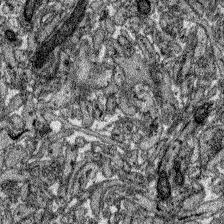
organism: Zebrafish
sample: Larval olfactory bulb